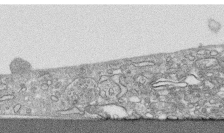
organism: Human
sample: CRL-1474